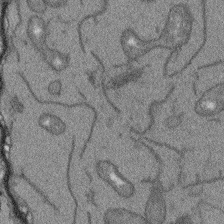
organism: Arabidopsis thaliana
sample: Root tip